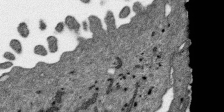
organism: Human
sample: Lung epithelial cells, uninfected (mock) control